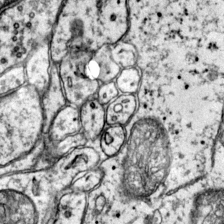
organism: Mouse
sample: Primary visual cortex